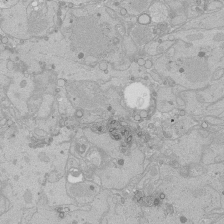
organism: Human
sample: Caco-2 cells